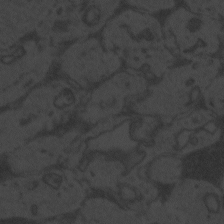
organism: Zebrafish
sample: Macrophage infected with Toxoplasma gondii